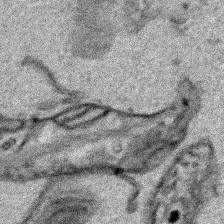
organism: Human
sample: Mitochondria in HCT116 cells